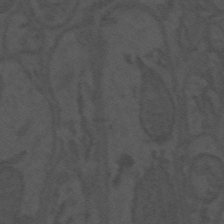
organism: Mouse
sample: Suprachiasmatic nucleus